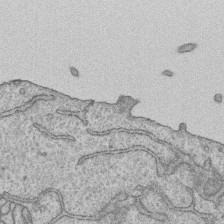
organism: Human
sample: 1205lu cells